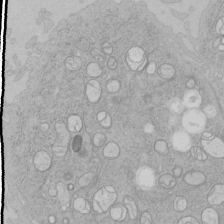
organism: Human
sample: Mitochondria in HCT116 cells